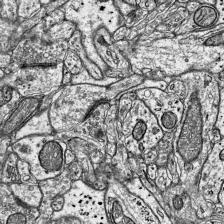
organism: Mouse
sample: Visual Cortex